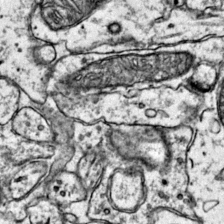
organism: Mouse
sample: Primary visual cortex